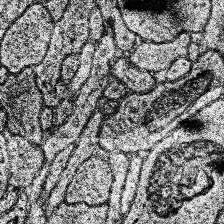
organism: Human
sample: Temporal Lobe